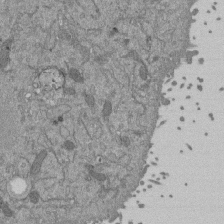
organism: Mouse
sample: ED-1 cell nuclei; centrioles